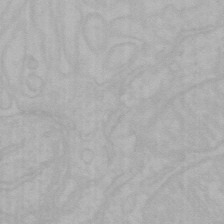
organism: Mouse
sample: Choroid plexus